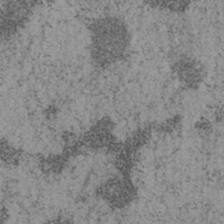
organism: Mouse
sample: OT-I killer T cells with ID8 ovarian cancer cells